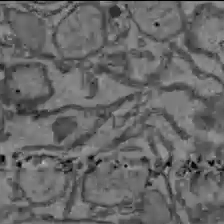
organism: C57BL Mouse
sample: Liver